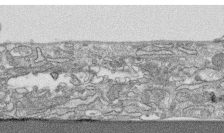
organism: Human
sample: CRL-1474